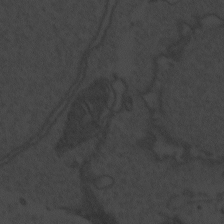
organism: Zebrafish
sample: Macrophage infected with Toxoplasma gondii